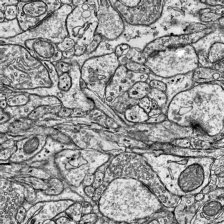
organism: Mouse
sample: Visual Cortex